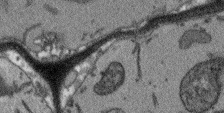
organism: Arabidopsis thaliana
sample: Root tip